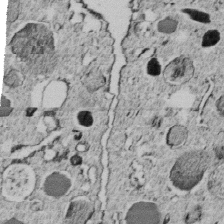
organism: C. elegans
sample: C. elegans embryo early stage